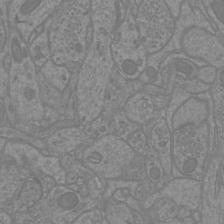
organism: Mouse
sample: Cortical neurons